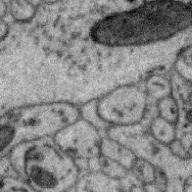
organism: Zebra finch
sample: Brain